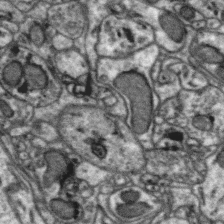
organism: Zebra finch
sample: Brain